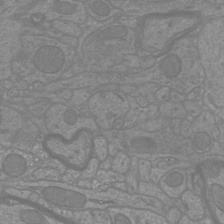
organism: Mouse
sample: Cortical neurons